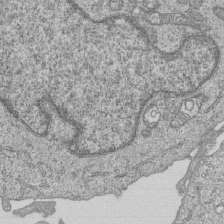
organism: Human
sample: MDA-MB-231 cells